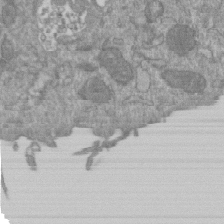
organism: Mouse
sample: ED-1 cell nuclei; centrioles